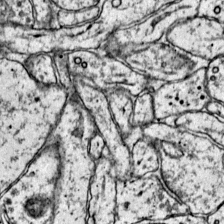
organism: Mouse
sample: Primary visual cortex